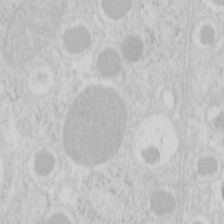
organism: Mouse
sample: Pancreas